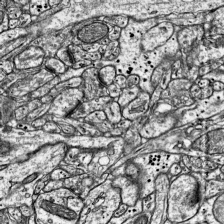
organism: Mouse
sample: Visual Cortex